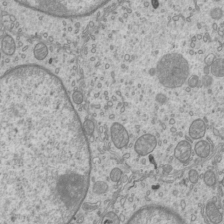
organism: Mouse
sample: Cilia; mouse epididymis